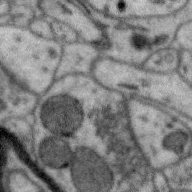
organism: Zebra finch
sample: Brain